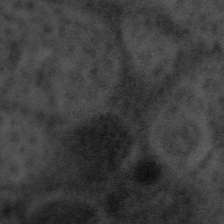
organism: Tuwongella immobilis